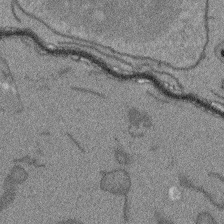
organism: Arabidopsis thaliana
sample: Root tip